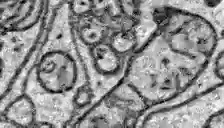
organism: Zebrafish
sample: Brain